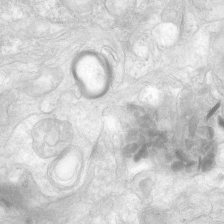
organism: Human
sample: Neocortex